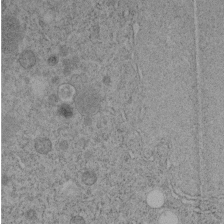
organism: C. elegans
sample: C. elegans embryo early stage